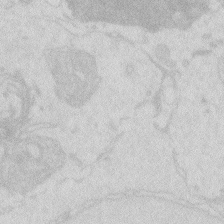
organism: Zebrafish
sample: Macrophage